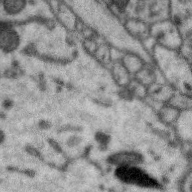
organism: Zebra finch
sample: Brain